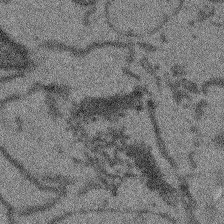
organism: Arabidopsis thaliana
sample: Root tip